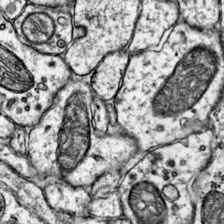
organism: Mouse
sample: Primary visual cortex